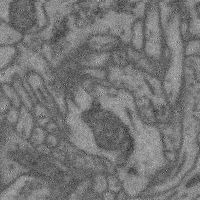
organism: Mouse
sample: Cerebral cortex